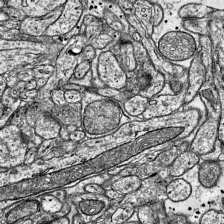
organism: Mouse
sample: Visual Cortex